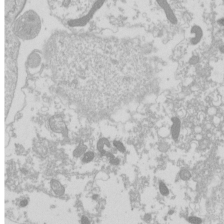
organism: Drosophila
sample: Cell division; meiosis; drosophila spermatocytes